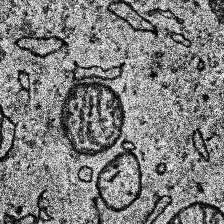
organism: Human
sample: Temporal Lobe